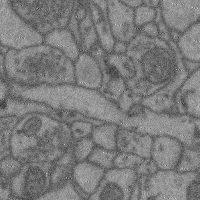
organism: Mouse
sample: Cerebral cortex